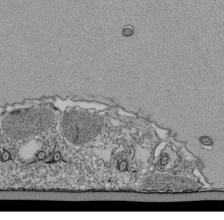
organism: Tetrahymena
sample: Cilia in tetrahymena